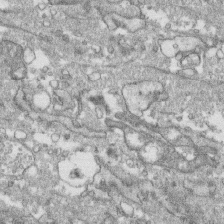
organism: Human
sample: CRL-1474